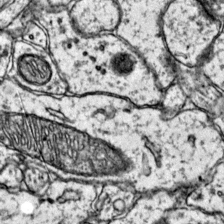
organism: Mouse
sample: Primary visual cortex